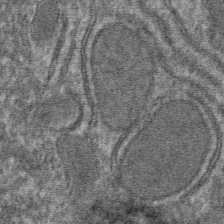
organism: Mouse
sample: Mouse hepatocytes